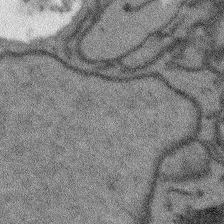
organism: Arabidopsis thaliana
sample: Root tip